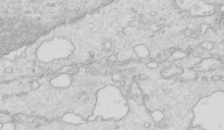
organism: Mouse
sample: Multiciliated cells